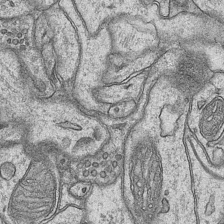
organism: Mouse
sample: CA1 Hippocampus